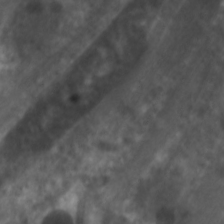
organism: C. elegans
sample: Pharynx